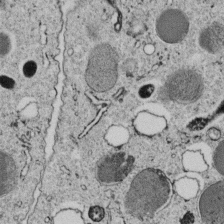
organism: C. elegans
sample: C. elegans embryo early stage